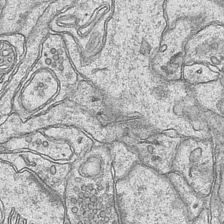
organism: Mouse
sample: CA1 Hippocampus